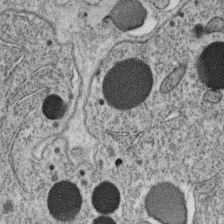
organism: C. elegans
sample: C. elegans oocyte; sperm cells